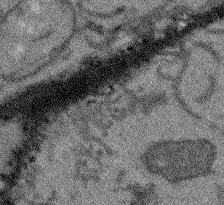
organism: Arabidopsis thaliana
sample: Root tip